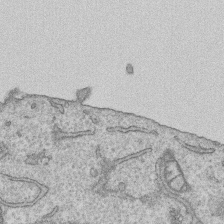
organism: Human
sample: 1205lu cells